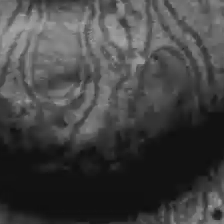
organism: C57BL Mouse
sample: Liver